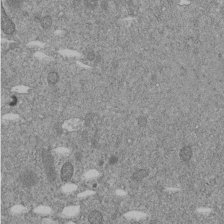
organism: C. elegans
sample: C. elegans embryo early stage